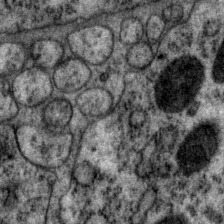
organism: P. pacificus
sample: Pharynx